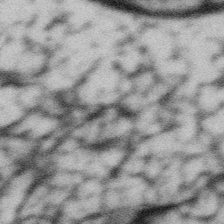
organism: Gemmata obscuriglobus